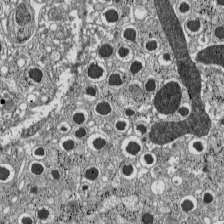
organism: C57BL Mouse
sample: Pancreatic islet